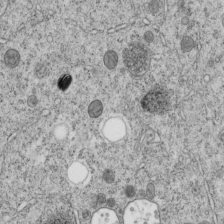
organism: C. elegans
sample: C. elegans embryo early stage